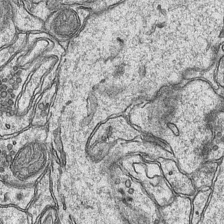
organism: Mouse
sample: CA1 Hippocampus